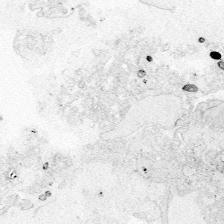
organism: Zebrafish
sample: Whole-Brain